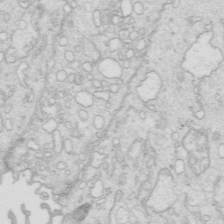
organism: Mouse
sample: Multiciliated cells